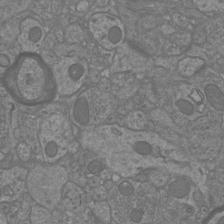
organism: Mouse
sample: Cortical neurons